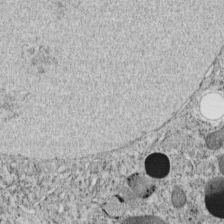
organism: C. elegans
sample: C. elegans embryo early stage